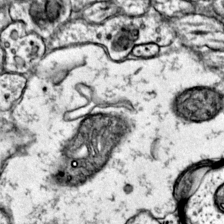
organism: Mouse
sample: Primary visual cortex